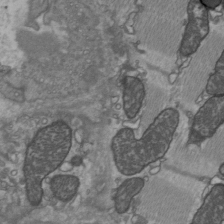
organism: C57BL Mouse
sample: Heart